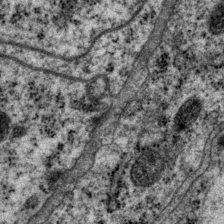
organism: P. pacificus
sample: Pharynx